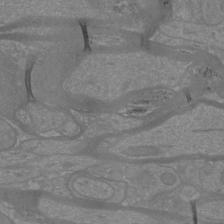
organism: Mouse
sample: Cortical neurons